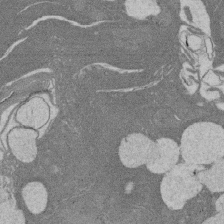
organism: Rat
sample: Salivary granule